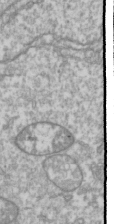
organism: Drosophila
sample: Cell division; meiosis; drosophila spermatocytes